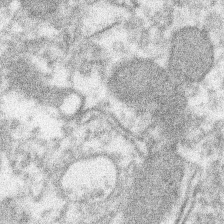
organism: Xenopus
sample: Cilia; centrioles in frog embryo cells